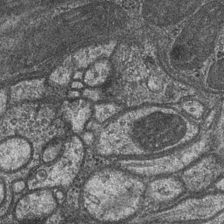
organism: Drosophila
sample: Optic medulla